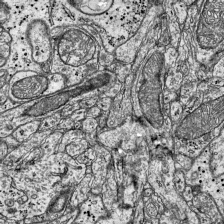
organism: Mouse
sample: Visual Cortex